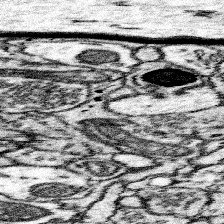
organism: Mouse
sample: Somatosensory cortex neuropil